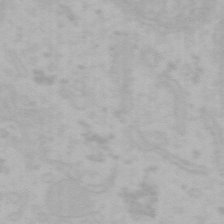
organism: Mouse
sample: Choroid plexus